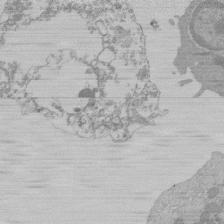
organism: Mouse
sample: Activated Pmel transgenic CD8+ T Cells